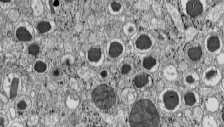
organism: C57BL Mouse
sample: Pancreatic islet